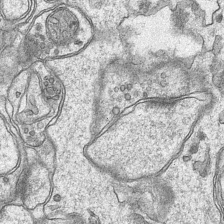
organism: Mouse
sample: CA1 Hippocampus